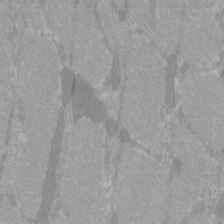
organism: C57BL Mouse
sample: Tibialis anterior muscle cell